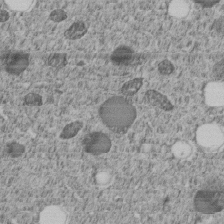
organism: C. elegans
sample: C. elegans embryo early stage